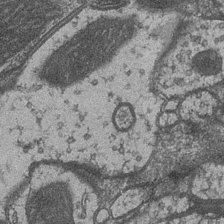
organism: Drosophila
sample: Optic medulla